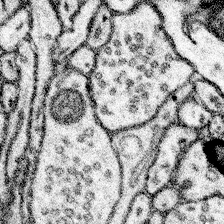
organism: Mouse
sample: Somatosensory cortex neuropil